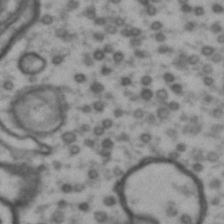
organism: Drosophila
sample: Brain